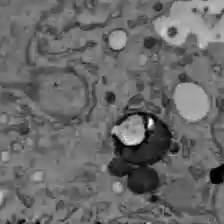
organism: C57BL Mouse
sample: Liver